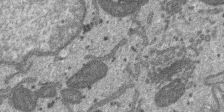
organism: Human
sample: Lung epithelial cells infected with SARS-CoV-2